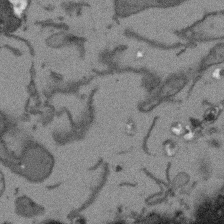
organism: Arabidopsis thaliana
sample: Root tip